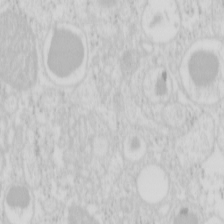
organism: Mouse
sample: Pancreas